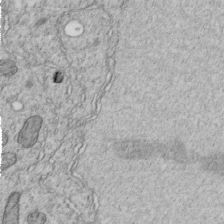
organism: C. elegans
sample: C. elegans embryo early stage